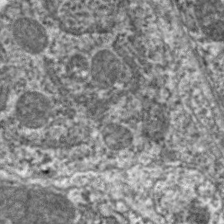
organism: C. elegans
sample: Pharynx